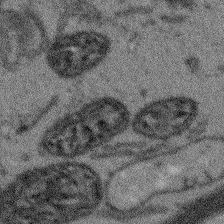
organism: Arabidopsis thaliana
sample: Root tip